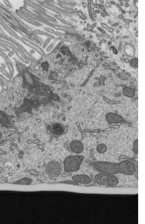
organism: Mouse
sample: Mouse epididymis efferent ductule cilia